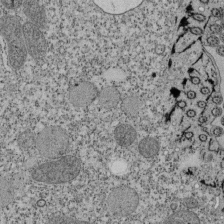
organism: Tetrahymena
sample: Cilia in tetrahymena